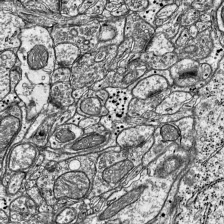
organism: Mouse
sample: Visual Cortex